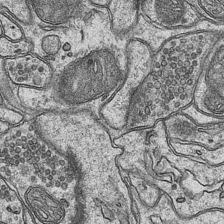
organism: Mouse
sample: CA1 Hippocampus